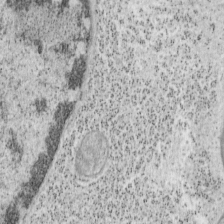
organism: Mouse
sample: OT-I killer T cells with ID8 ovarian cancer cells